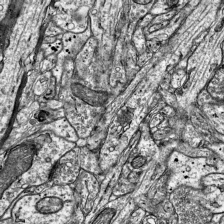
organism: Mouse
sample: Visual Cortex